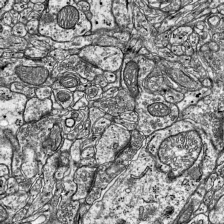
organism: Mouse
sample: Visual Cortex